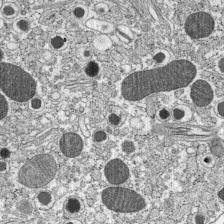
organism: C57BL Mouse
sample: Pancreatic islet